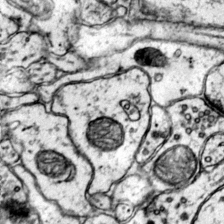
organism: Mouse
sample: Primary visual cortex